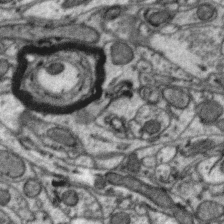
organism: Zebra finch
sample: Brain